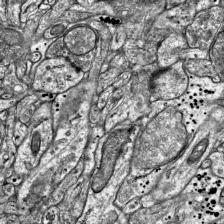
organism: Mouse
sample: Visual Cortex